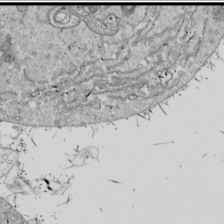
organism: Drosophila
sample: Cell division; meiosis; drosophila spermatocytes